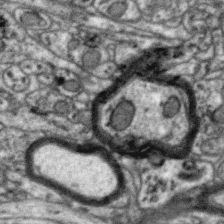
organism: Zebra finch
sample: Brain